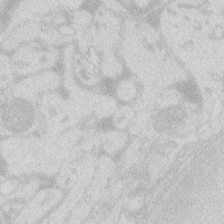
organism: Zebrafish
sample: Macrophage